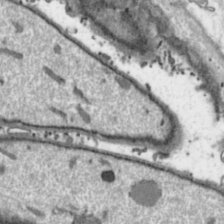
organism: Toxoplasma gondii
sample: Parasites in a vacuole inside a host cell